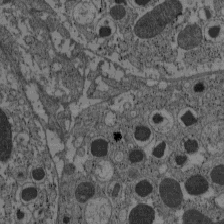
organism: C57BL Mouse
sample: Pancreatic islet